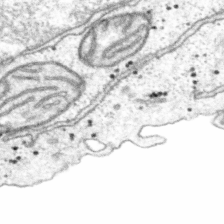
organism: Human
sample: HeLa cells